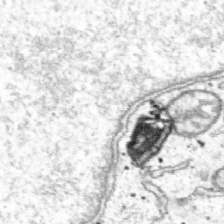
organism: Human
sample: HeLa cells